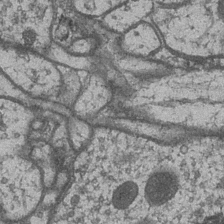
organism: Drosophila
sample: Optic medulla